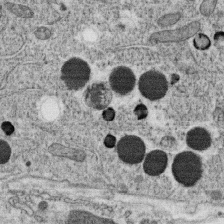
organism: C. elegans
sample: C. elegans oocyte; sperm cells